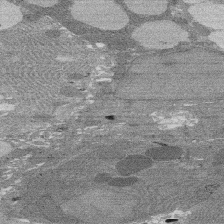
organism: Rat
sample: Salivary granule